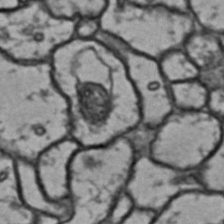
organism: Drosophila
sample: Brain